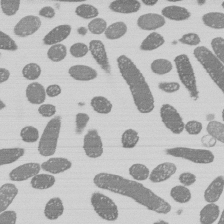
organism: E. coli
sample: Bacterial nucleoid